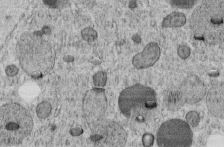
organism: C. elegans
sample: C. elegans embryo early stage